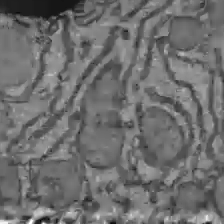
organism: C57BL Mouse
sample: Liver